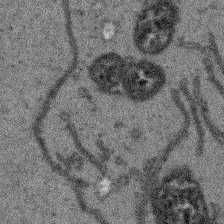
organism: Arabidopsis thaliana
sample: Root tip